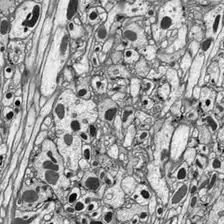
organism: Drosophila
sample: Optic lobe